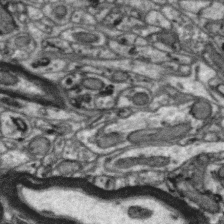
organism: Zebra finch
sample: Brain